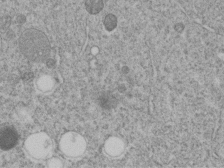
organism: C. elegans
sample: C. elegans embryo early stage